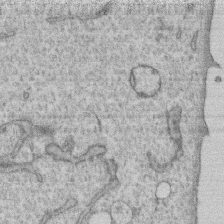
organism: Human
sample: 1205lu cells